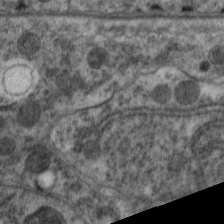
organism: C. elegans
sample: Pharynx